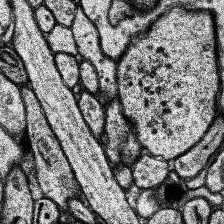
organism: Human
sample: Temporal Lobe